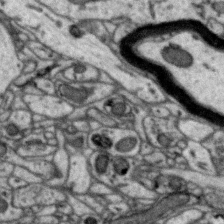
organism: Zebra finch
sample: Brain